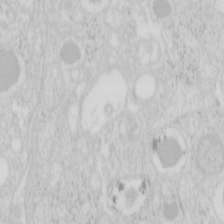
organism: Mouse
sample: Pancreas